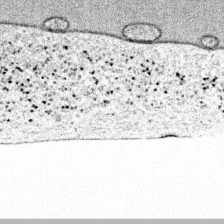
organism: Human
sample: HeLa cells